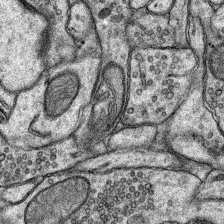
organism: Rat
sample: Hippocampus